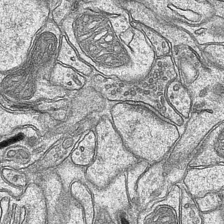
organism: Mouse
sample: CA1 Hippocampus